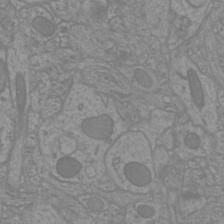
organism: Mouse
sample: Cortical neurons